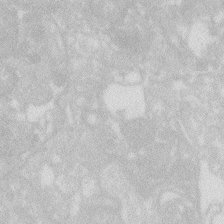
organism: Zebrafish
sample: Macrophage